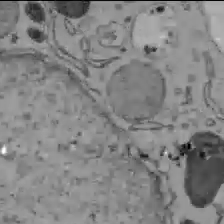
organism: C57BL Mouse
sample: Liver